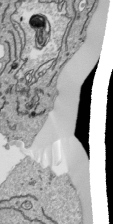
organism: Human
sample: Mitochondria in HCT116 cells